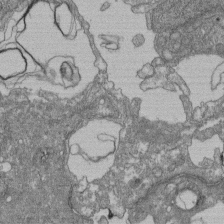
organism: Human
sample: Retinal organoid Rod and Cone cells